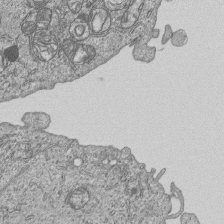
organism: Human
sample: MDA-MB-231 cells